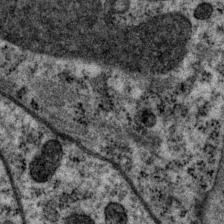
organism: P. pacificus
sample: Pharynx